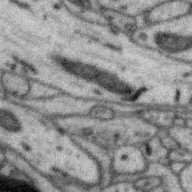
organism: Zebra finch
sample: Brain